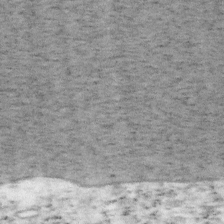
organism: Mouse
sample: OT-I killer T cells with ID8 ovarian cancer cells